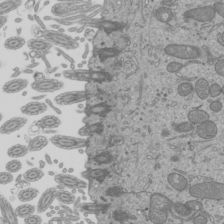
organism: Mouse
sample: Cilia; mouse epididymis